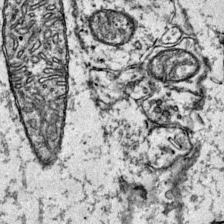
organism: Mouse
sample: Primary visual cortex